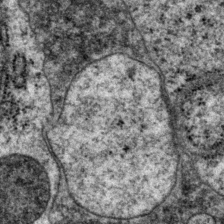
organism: P. pacificus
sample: Pharynx